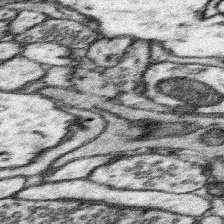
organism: Mouse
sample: Somatosensory cortex neuropil